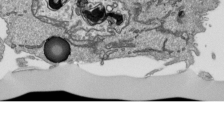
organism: Human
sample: Mitochondria in HCT116 cells